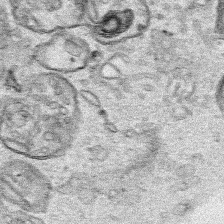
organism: Human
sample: Mitochondria in HCT116 cells